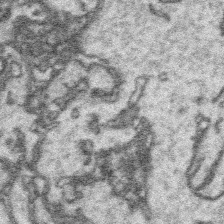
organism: Platynereis dumerilii